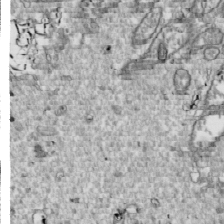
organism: Drosophila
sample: Cell division; meiosis; drosophila spermatocytes